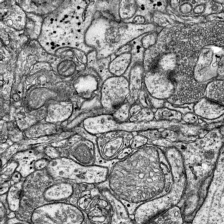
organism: Mouse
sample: Visual Cortex